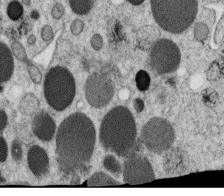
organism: C. elegans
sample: C. elegans oocyte; sperm cells